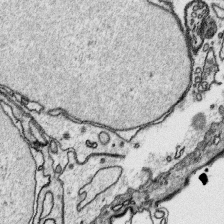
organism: Platynereis dumerilii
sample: Parapodia